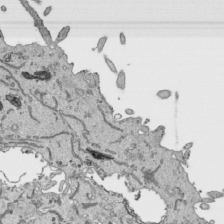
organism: Human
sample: Mitochondria in HCT116 cells